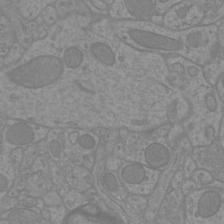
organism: Mouse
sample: Cortical neurons